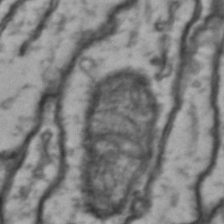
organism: Drosophila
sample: Brain